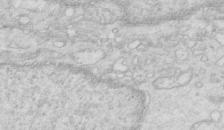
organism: Mouse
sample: Multiciliated cells